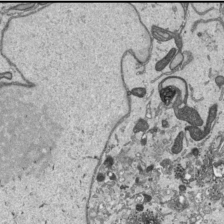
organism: Human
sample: Mitochondria in HCT116 cells